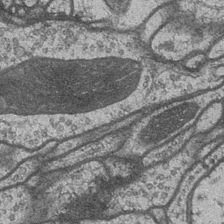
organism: Drosophila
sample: Optic medulla